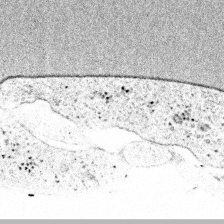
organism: Human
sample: HeLa cells